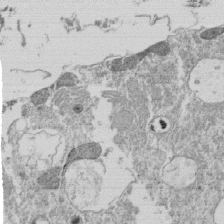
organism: Tetrahymena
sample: Cilia in tetrahymena